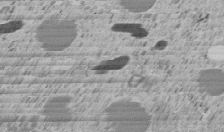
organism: C. elegans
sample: C. elegans embryo early stage